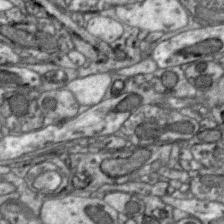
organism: Zebra finch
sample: Brain